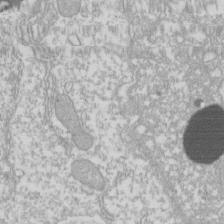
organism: Xenopus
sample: Cilia; centrioles in frog embryo cells